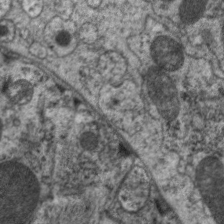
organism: C. elegans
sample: Pharynx